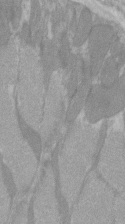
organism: C57BL Mouse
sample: Tibialis anterior muscle cell